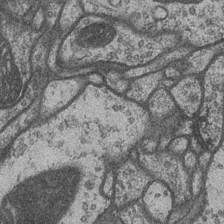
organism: Drosophila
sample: Optic medulla